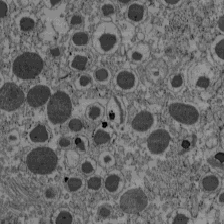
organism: C57BL Mouse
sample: Pancreatic islet